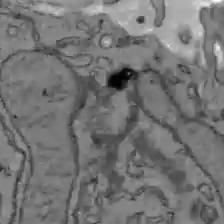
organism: C57BL Mouse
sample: Liver